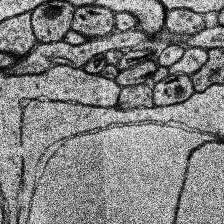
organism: Human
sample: Temporal Lobe